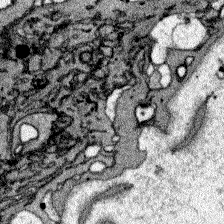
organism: Zebrafish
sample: Larval olfactory bulb